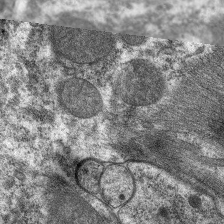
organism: C. elegans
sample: Pharynx